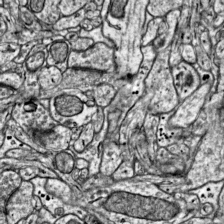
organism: Mouse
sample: Visual Cortex